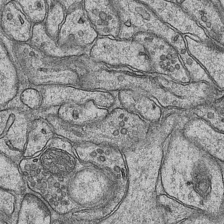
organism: Mouse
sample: CA1 Hippocampus